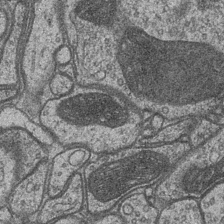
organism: Drosophila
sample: Optic medulla